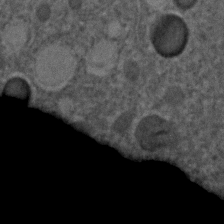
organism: C. elegans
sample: C. elegans embryo